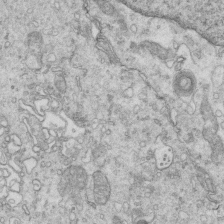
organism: Mouse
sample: Multiciliated cells